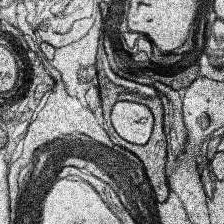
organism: Human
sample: Temporal Lobe